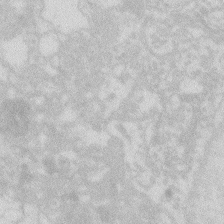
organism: Zebrafish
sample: Macrophage